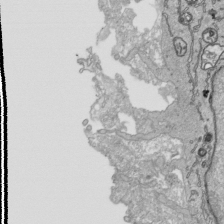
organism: Human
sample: Mitochondria in HCT116 cells